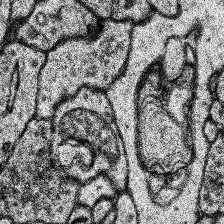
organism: Human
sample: Temporal Lobe